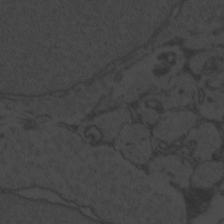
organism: Zebrafish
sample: Macrophage infected with Toxoplasma gondii